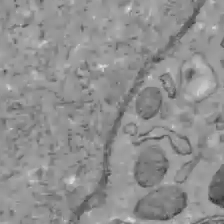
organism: C57BL Mouse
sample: Liver